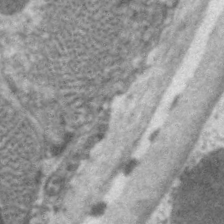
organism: C. elegans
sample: Pharynx